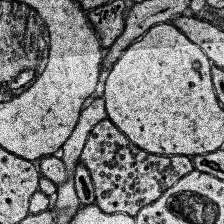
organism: Human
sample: Temporal Lobe